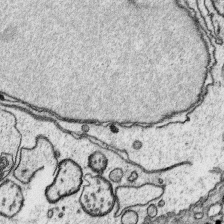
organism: Platynereis dumerilii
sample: Parapodia